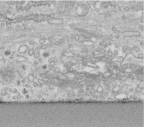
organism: Human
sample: Centriole in fibroblast cells